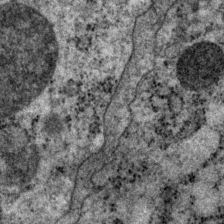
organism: P. pacificus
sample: Pharynx